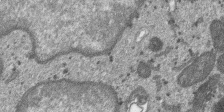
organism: Human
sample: Lung epithelial cells infected with SARS-CoV-2